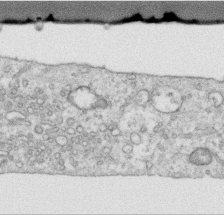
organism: Human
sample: Centriole in RPE cells